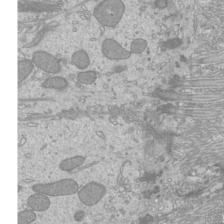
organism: Mouse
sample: Cilia; mouse epididymis